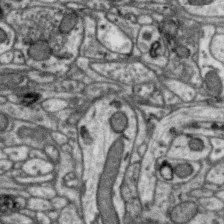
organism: Zebra finch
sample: Brain